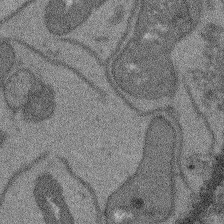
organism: Arabidopsis thaliana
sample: Root tip